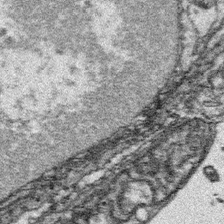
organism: Platynereis dumerilii